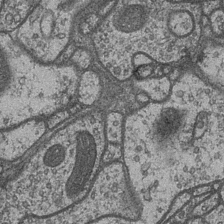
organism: Drosophila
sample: Optic medulla